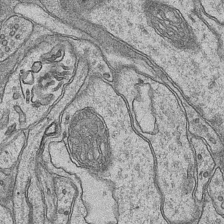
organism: Mouse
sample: CA1 Hippocampus